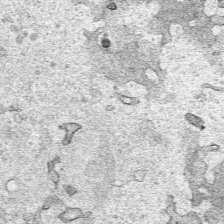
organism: Human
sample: Mitochondria in HCT116 cells